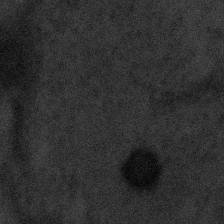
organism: Tuwongella immobilis